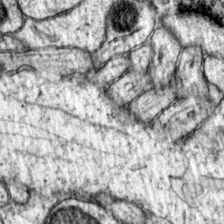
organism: Mouse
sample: Primary visual cortex